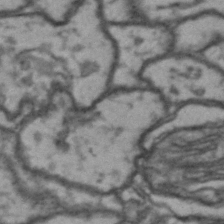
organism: Drosophila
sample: Brain